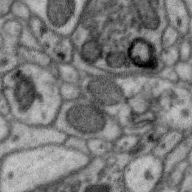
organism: Zebra finch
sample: Brain